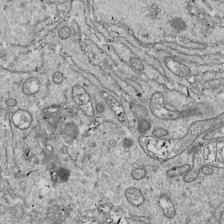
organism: Drosophila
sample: Cell division; meiosis; drosophila spermatocytes